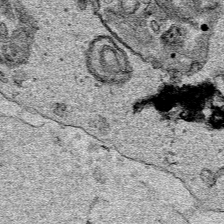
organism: Human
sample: Mitochondria in HCT116 cells